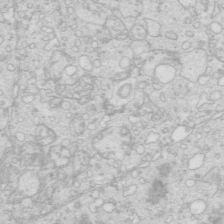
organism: Mouse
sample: Multiciliated cells